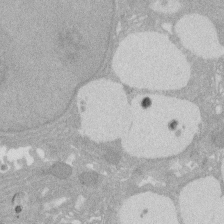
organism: Rat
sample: Salivary granule